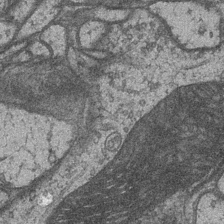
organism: Drosophila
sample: Optic medulla